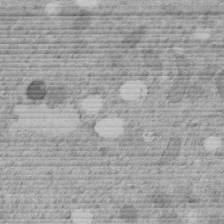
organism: C. elegans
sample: C. elegans embryo early stage